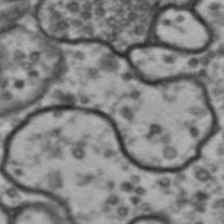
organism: Drosophila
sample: Brain